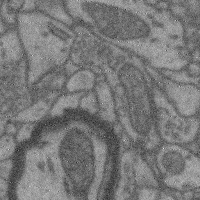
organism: Mouse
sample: Cerebral cortex